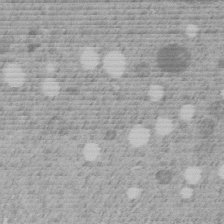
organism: C. elegans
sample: C. elegans embryo early stage